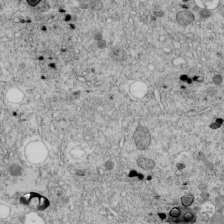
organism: C. elegans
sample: C. elegans embryo early stage